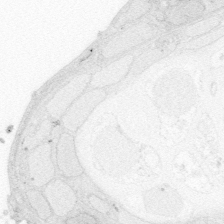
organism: Zebrafish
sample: Whole-Brain